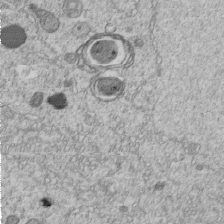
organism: C. elegans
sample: C. elegans embryo early stage